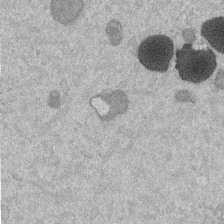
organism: Mouse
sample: Dividing mouse embryo 1 cell stage